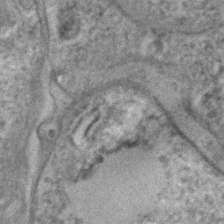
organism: C. elegans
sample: C. elegans embryo